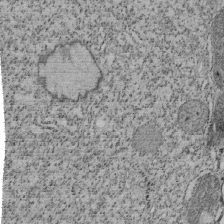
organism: Tetrahymena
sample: Cilia in tetrahymena